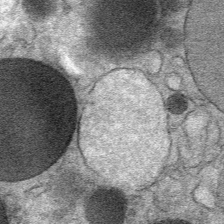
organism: Mouse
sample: Mouse Salivary gland